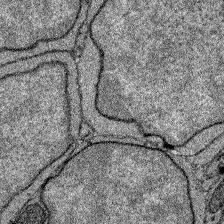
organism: Zebrafish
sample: Larval olfactory bulb